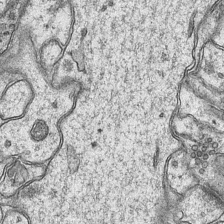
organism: Mouse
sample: CA1 Hippocampus